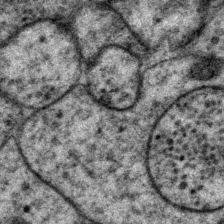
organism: P. pacificus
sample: Pharynx